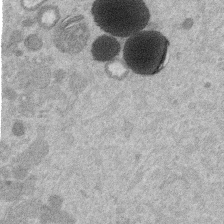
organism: Mouse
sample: Dividing mouse embryo 1 cell stage